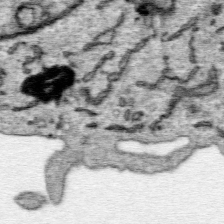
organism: Human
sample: HeLa cells